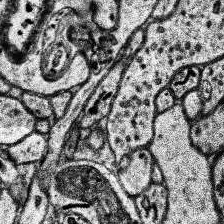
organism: Human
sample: Temporal Lobe